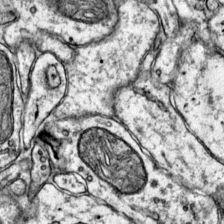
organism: Mouse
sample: Primary visual cortex